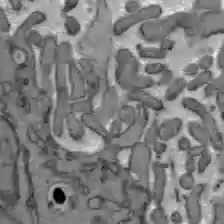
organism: C57BL Mouse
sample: Liver